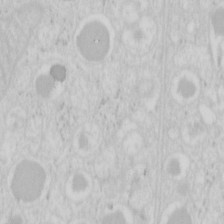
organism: Mouse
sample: Pancreas